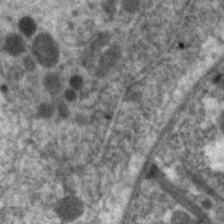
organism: C. elegans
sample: Pharynx